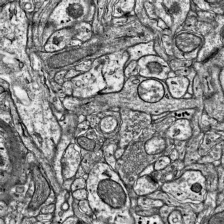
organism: Mouse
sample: Visual Cortex